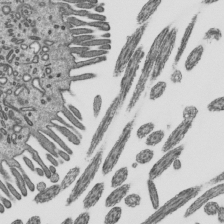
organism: Mouse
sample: Mouse epididymis efferent ductule cilia